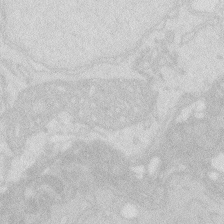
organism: Zebrafish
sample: Macrophage